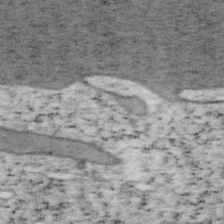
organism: Mouse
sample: OT-I killer T cells with ID8 ovarian cancer cells